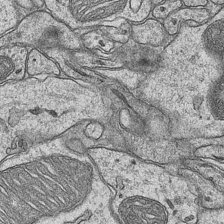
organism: Mouse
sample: CA1 Hippocampus